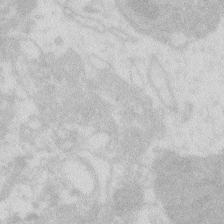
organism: Zebrafish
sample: Macrophage